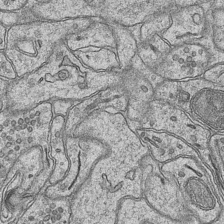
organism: Mouse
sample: CA1 Hippocampus